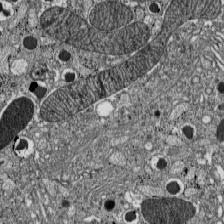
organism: C57BL Mouse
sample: Pancreatic islet